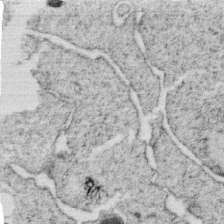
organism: C. elegans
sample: C. elegans oocyte; sperm cells